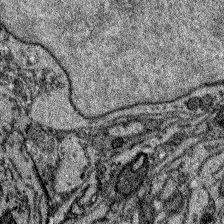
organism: Zebrafish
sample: Larval olfactory bulb